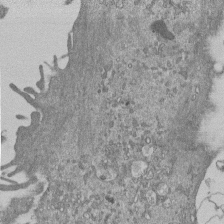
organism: Mouse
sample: ED-1 cell nuclei; centrioles